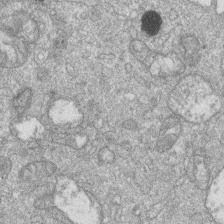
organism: Human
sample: HeLa cell HIV synapse